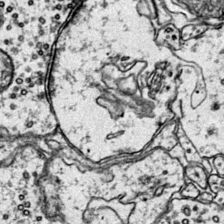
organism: Mouse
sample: Primary visual cortex